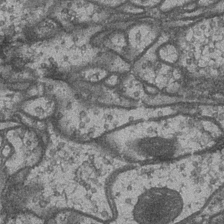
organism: Drosophila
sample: Optic medulla